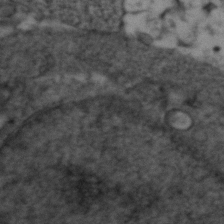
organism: Zebrafish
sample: Zebrafish embryo